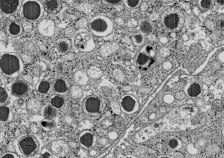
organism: C57BL Mouse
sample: Pancreatic islet